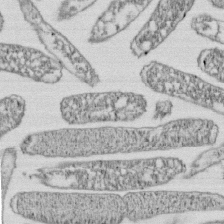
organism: E. coli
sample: Bacterial nucleoid